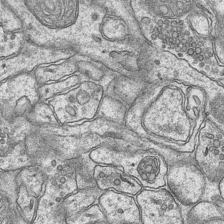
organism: Mouse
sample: CA1 Hippocampus